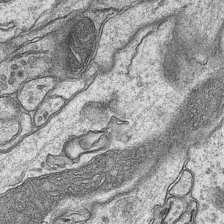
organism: Mouse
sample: CA1 Hippocampus